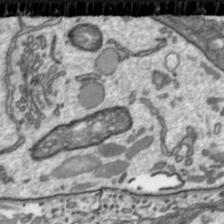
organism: Toxoplasma gondii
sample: Parasites in a vacuole inside a host cell